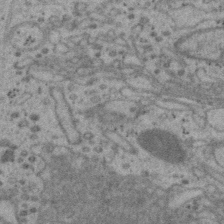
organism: Human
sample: HeLa cells